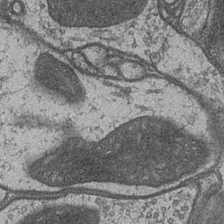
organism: Drosophila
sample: Optic medulla